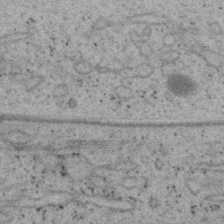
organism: Human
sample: HeLa cells